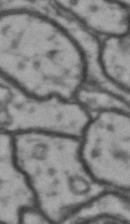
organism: Drosophila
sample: Brain